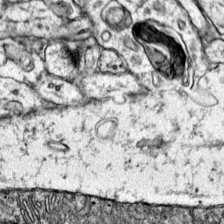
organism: Mouse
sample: Primary visual cortex